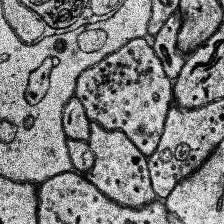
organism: Human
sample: Temporal Lobe